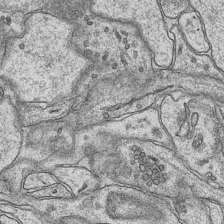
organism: Mouse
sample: CA1 Hippocampus